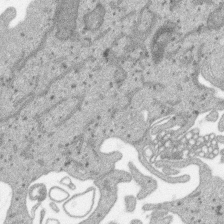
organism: Human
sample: Lung epithelial cells infected with SARS-CoV-2